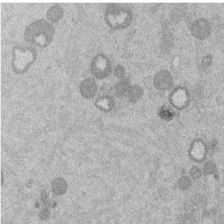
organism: Mouse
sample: Dividing mouse embryo 1 cell stage